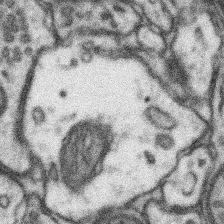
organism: Mouse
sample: Somatosensory cortex neuropil